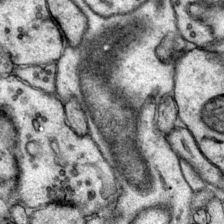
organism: Mouse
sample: Primary visual cortex